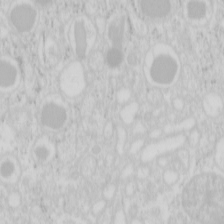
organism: Mouse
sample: Pancreas